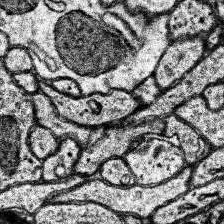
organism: Human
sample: Temporal Lobe